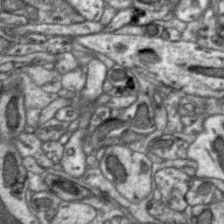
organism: Zebra finch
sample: Brain